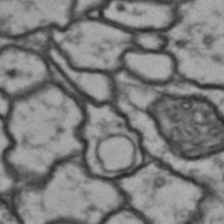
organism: Drosophila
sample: Brain